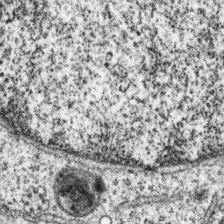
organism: Human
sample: HeLa cells